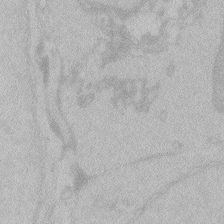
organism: Zebrafish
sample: Macrophage infected with Toxoplasma gondii